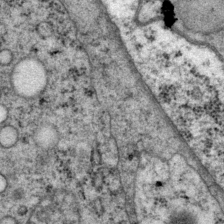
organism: P. pacificus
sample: Pharynx